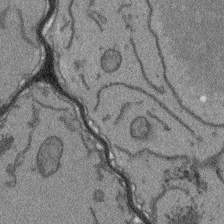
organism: Arabidopsis thaliana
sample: Root tip